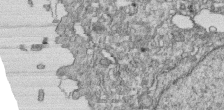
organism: Human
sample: HeLa cell HIV synapse